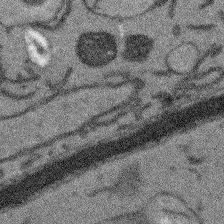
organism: Arabidopsis thaliana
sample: Root tip